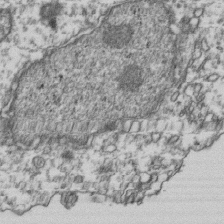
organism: Human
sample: Activated Jurkat CD4+ T cells